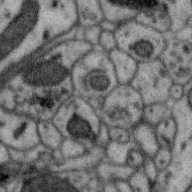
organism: Zebra finch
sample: Brain